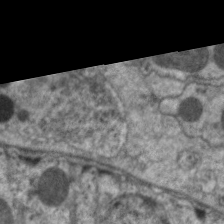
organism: C. elegans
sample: Pharynx